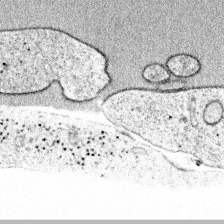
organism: Human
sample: HeLa cells